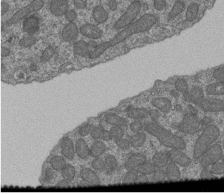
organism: Human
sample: Retinal organoid Rod and Cone cells